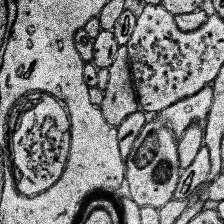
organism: Human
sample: Temporal Lobe